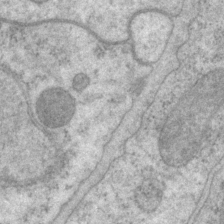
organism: P. pacificus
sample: Pharynx